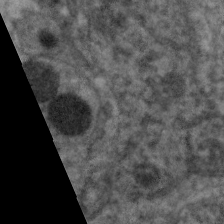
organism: C. elegans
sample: Pharynx